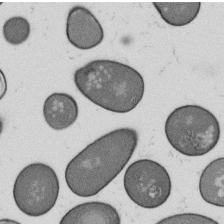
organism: B. subtilis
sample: Bacterial spore